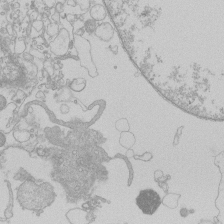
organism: Human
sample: Macrophage cells